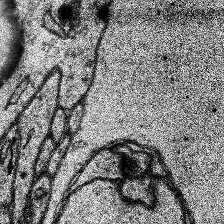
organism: Human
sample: Temporal Lobe